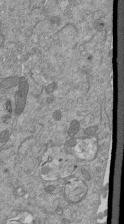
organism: Mouse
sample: ED-1 cell nuclei; centrioles